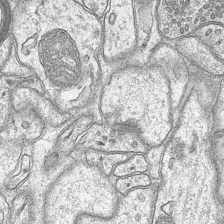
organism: Mouse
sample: CA1 Hippocampus